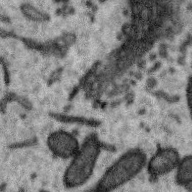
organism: Zebra finch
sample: Brain